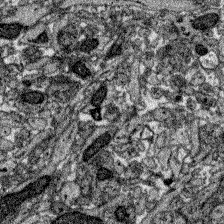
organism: Zebrafish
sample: Larval olfactory bulb